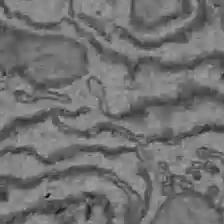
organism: C57BL Mouse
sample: Liver